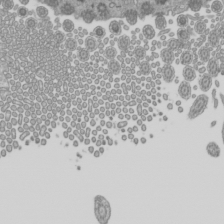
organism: Mouse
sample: Cilia; mouse epididymis